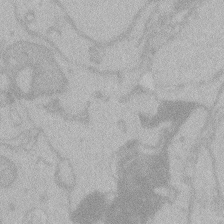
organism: Zebrafish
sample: Macrophage infected with Toxoplasma gondii